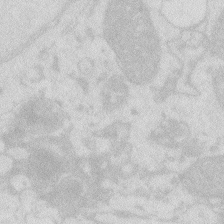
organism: Zebrafish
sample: Macrophage